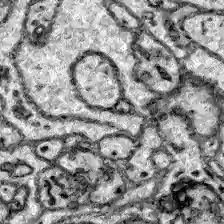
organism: Zebrafish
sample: Brain